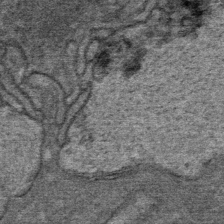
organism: Mouse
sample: Mouse Salivary gland